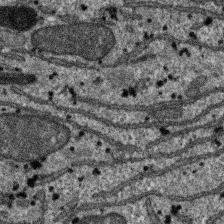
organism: Human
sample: Lung epithelial cells infected with SARS-CoV-2